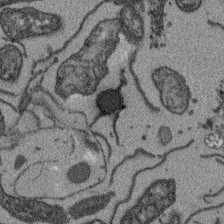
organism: Arabidopsis thaliana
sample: Root tip